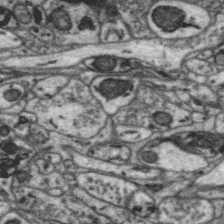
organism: Zebra finch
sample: Brain